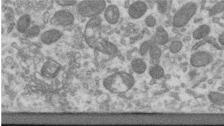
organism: Human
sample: Centriole in RPE cells